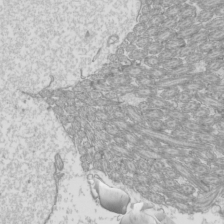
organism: Mouse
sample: Cilia; mouse epididymis